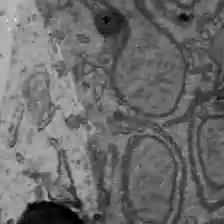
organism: C57BL Mouse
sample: Liver